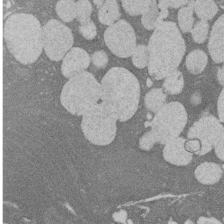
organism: Rat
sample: Salivary granule